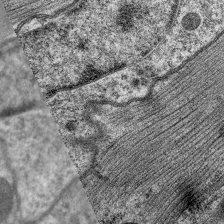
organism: C. elegans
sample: Pharynx